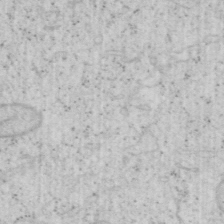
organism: Human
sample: HeLa cells